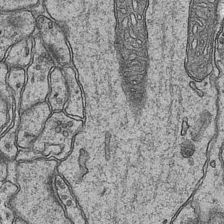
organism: Mouse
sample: CA1 Hippocampus